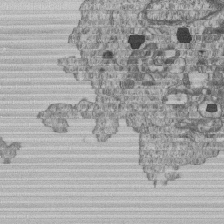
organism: Human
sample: MDA-MB-231 cells